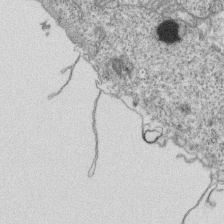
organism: Human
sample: HeLa cell HIV synapse